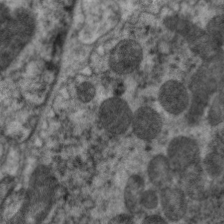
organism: C. elegans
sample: Pharynx